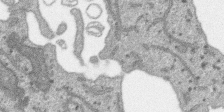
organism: Human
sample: Lung epithelial cells infected with SARS-CoV-2